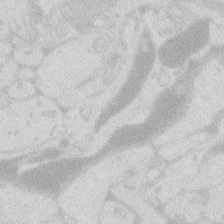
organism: Zebrafish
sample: Macrophage